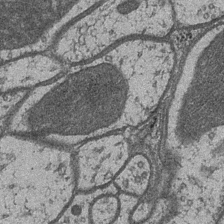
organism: Drosophila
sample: Optic medulla